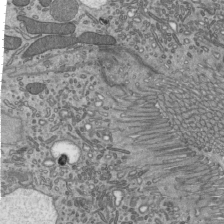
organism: Mouse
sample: Mouse epididymis efferent ductule cilia